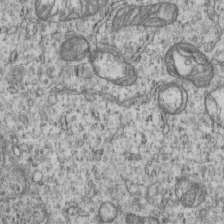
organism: Human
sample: MDA-MB-231 cells